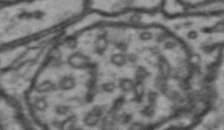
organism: Drosophila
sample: Brain